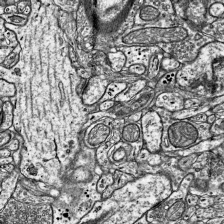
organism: Mouse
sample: Visual Cortex